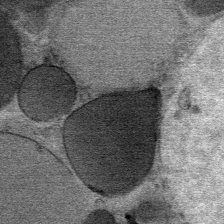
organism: Mouse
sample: Mouse Salivary gland